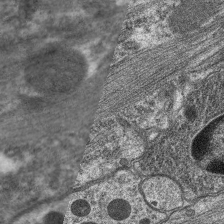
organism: C. elegans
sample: Pharynx